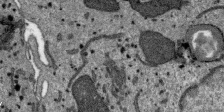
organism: Human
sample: Lung epithelial cells, uninfected (mock) control